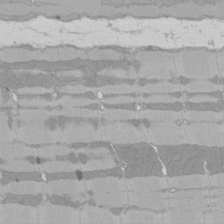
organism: Rat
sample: Left ventricle